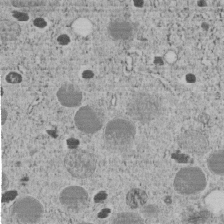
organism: C. elegans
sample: C. elegans embryo early stage